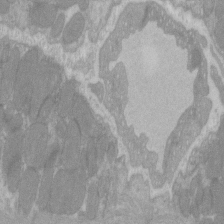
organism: C57BL Mouse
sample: Tibialis anterior muscle cell